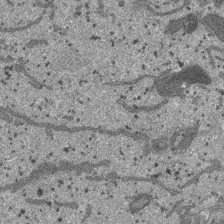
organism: Human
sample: Lung epithelial cells infected with SARS-CoV-2